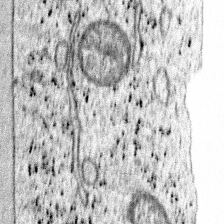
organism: Human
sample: HeLa cells